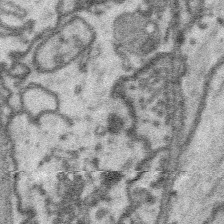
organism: Platynereis dumerilii